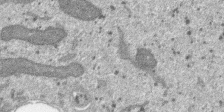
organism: Human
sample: Lung epithelial cells infected with SARS-CoV-2